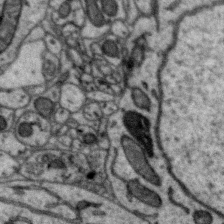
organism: Zebra finch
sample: Brain